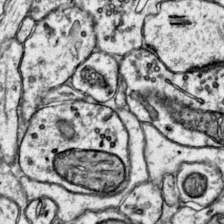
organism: Mouse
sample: Primary visual cortex